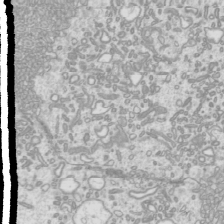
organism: Mouse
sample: Cilia; mouse epididymis